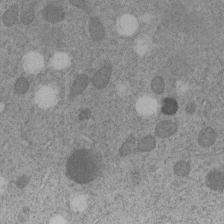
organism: C. elegans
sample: C. elegans embryo early stage